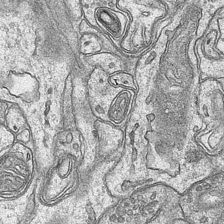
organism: Mouse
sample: CA1 Hippocampus